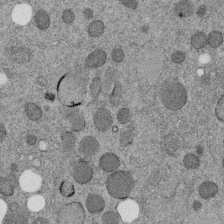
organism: C. elegans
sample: C. elegans embryo early stage